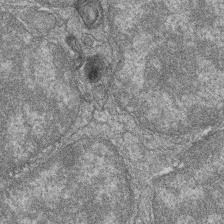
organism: Zebrafish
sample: Cilia; retinal pigment epithelium